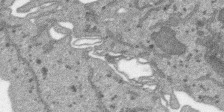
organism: Human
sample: Lung epithelial cells infected with SARS-CoV-2